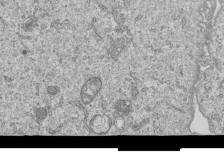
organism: Human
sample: MDA-MB-231 cells